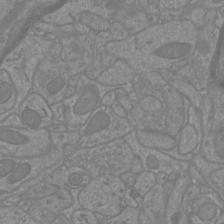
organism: Mouse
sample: Cortical neurons